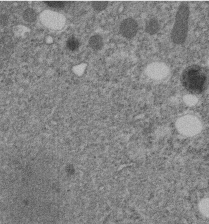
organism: C. elegans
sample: C. elegans embryo early stage